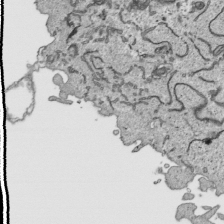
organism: Human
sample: Mitochondria in HCT116 cells